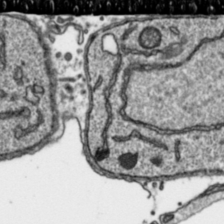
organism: Toxoplasma gondii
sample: Parasites in a vacuole inside a host cell